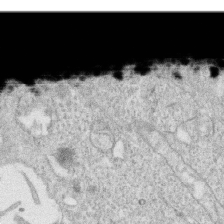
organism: Human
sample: HeLa cell HIV synapse